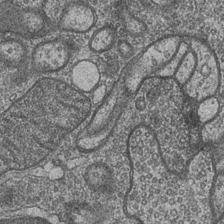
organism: Drosophila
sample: Optic medulla